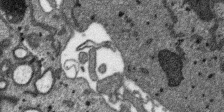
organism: Human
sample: Lung epithelial cells infected with SARS-CoV-2